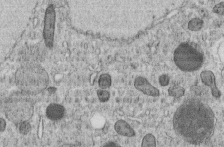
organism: C. elegans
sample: C. elegans embryo early stage